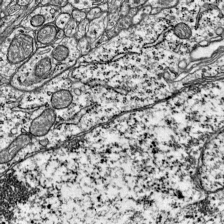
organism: Mouse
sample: Visual Cortex